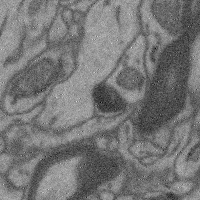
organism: Mouse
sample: Cerebral cortex